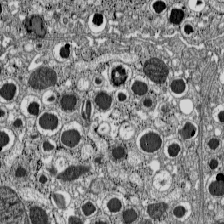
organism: C57BL Mouse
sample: Pancreatic islet